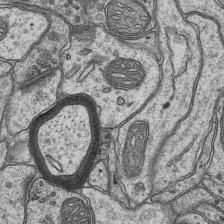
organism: Mouse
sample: CA1 Hippocampus